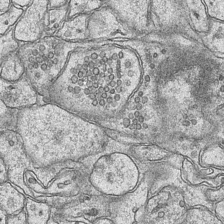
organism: Mouse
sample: CA1 Hippocampus